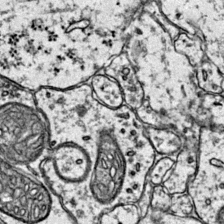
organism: Mouse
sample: Primary visual cortex